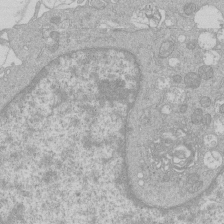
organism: Human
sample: Macrophage cells